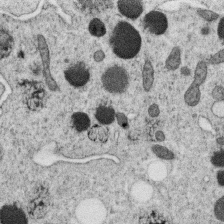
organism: C. elegans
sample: C. elegans oocyte; sperm cells